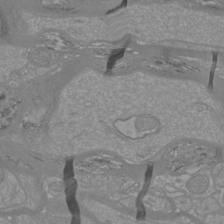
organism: Mouse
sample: Cortical neurons